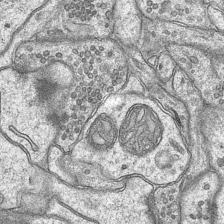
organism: Mouse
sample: CA1 Hippocampus